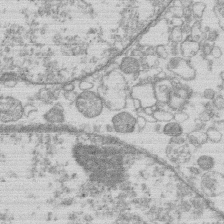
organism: Human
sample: Macrophage cells